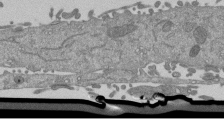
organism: Mouse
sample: ED-1 cell nuclei; centrioles